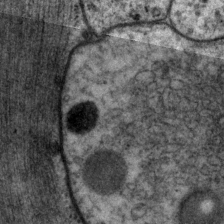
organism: P. pacificus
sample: Pharynx